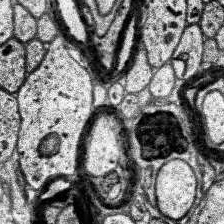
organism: Human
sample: Temporal Lobe